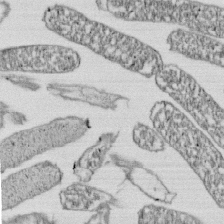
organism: E. coli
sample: Bacterial nucleoid